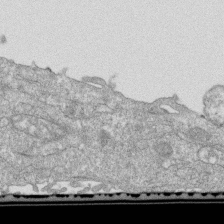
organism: Human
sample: HeLa cell HIV synapse